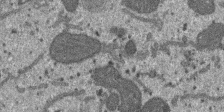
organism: Human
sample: Lung epithelial cells infected with SARS-CoV-2